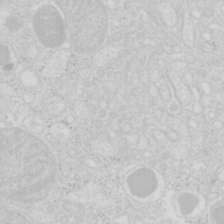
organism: Mouse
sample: Pancreas